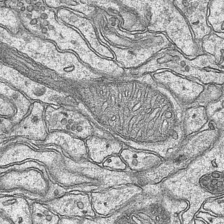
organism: Mouse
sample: CA1 Hippocampus